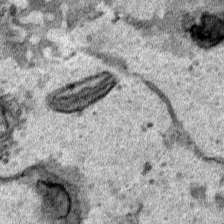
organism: Human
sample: Mitochondria in HCT116 cells